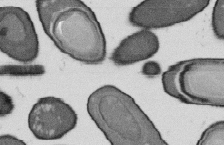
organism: B. subtilis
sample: Bacterial spore